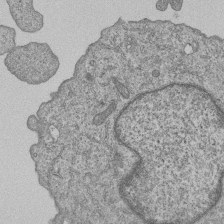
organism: Human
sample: MDA-MB-231 cells